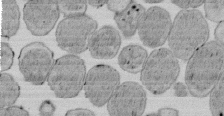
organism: E. coli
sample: Bacterial nucleoid